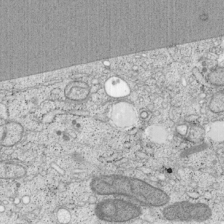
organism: African green monkey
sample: COS-7 cells